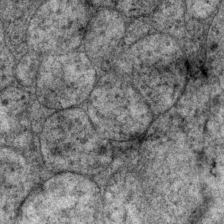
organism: P. pacificus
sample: Pharynx